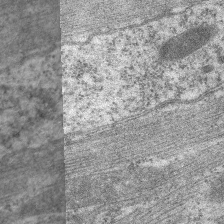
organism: C. elegans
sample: Pharynx